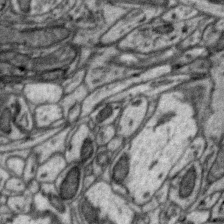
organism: Zebra finch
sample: Brain